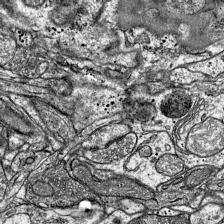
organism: Mouse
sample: Visual Cortex